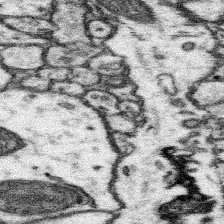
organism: Mouse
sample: Somatosensory cortex neuropil